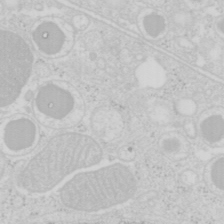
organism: Mouse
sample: Pancreas